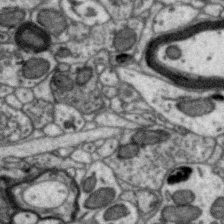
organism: Zebra finch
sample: Brain